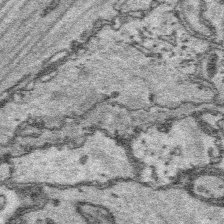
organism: Platynereis dumerilii